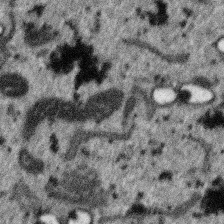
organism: Human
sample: Lung epithelial cells infected with SARS-CoV-2